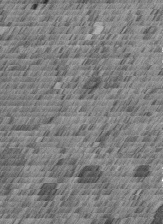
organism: C. elegans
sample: C. elegans embryo early stage